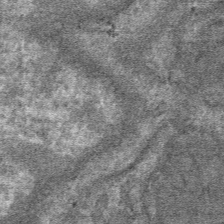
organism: Mouse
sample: Mouse hepatocytes